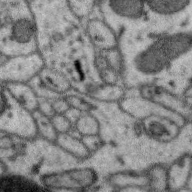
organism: Zebra finch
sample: Brain